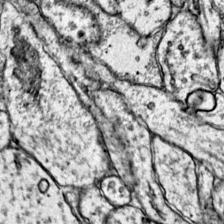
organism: Mouse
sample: Primary visual cortex